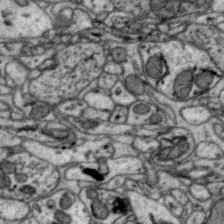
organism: Zebra finch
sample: Brain